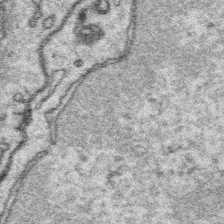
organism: Platynereis dumerilii